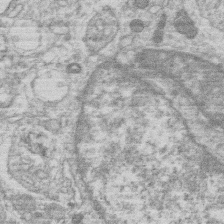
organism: Human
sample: Macrophage cells